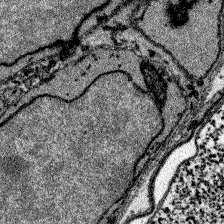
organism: Zebrafish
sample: Larval olfactory bulb